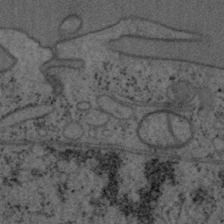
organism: Human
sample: HeLa cells